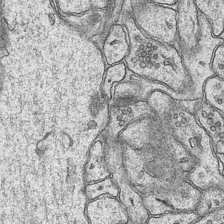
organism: Mouse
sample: CA1 Hippocampus